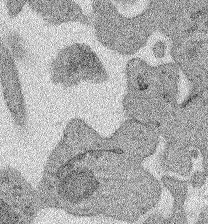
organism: Human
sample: HeLa cells